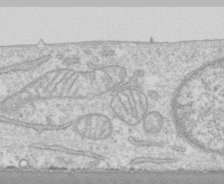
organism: Human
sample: CRL-1474